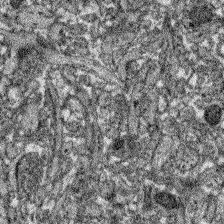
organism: Zebrafish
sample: Larval olfactory bulb